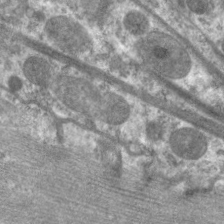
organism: C. elegans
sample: Pharynx